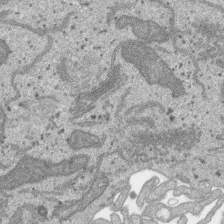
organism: Human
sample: Lung epithelial cells infected with SARS-CoV-2